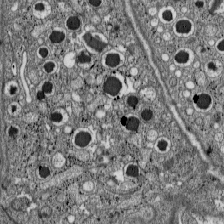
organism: C57BL Mouse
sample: Pancreatic islet